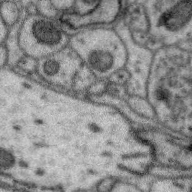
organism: Zebra finch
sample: Brain